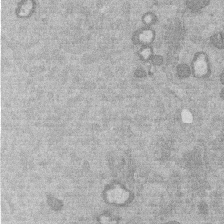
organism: Mouse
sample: Dividing mouse embryo 1 cell stage